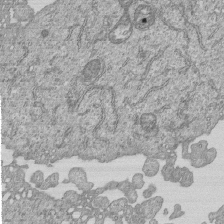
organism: Human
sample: MDA-MB-231 cells